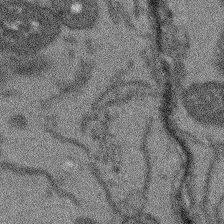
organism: Arabidopsis thaliana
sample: Root tip